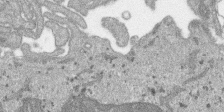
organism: Human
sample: Lung epithelial cells infected with SARS-CoV-2